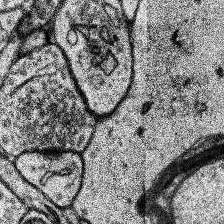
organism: Human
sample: Temporal Lobe